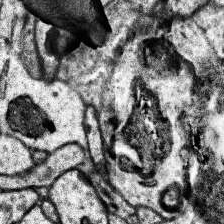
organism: Human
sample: Temporal Lobe